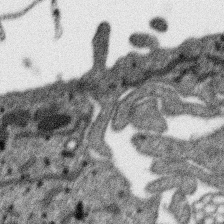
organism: Human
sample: Lung epithelial cells infected with SARS-CoV-2